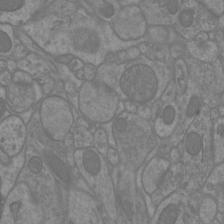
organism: Mouse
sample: Cortical neurons